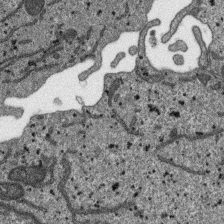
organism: Human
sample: Lung epithelial cells infected with SARS-CoV-2